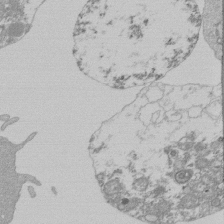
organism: Mouse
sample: Activated Pmel transgenic CD8+ T Cells